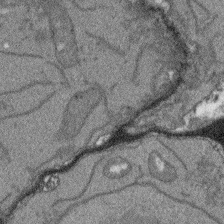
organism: Arabidopsis thaliana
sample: Root tip